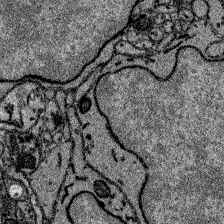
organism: Zebrafish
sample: Larval olfactory bulb